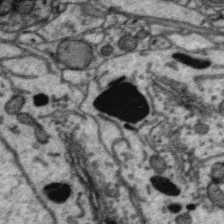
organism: Zebra finch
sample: Brain